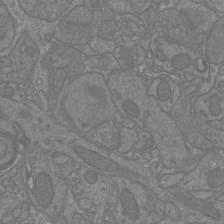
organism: Mouse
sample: Cortical neurons